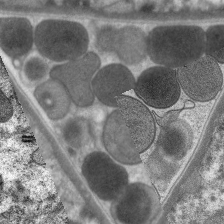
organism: C. elegans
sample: Pharynx